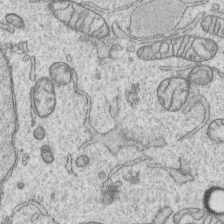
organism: Human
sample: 1205lu cells